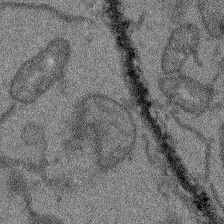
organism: Arabidopsis thaliana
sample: Root tip